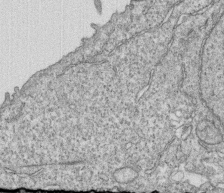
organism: Human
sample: HeLa cell HIV synapse